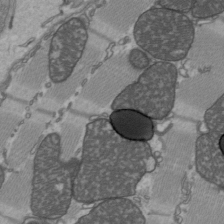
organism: C57BL Mouse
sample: Heart